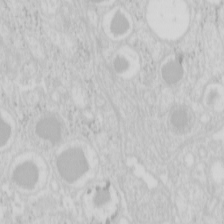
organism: Mouse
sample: Pancreas